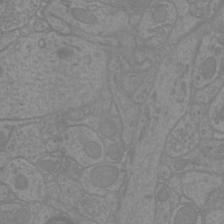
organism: Mouse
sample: Cortical neurons